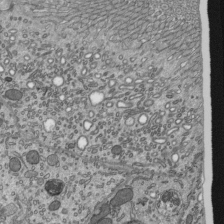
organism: Mouse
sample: Mouse epididymis efferent ductule cilia